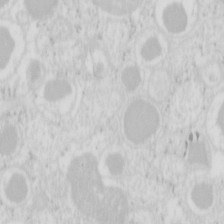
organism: Mouse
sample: Pancreas